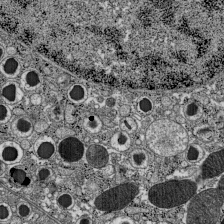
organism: C57BL Mouse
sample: Pancreatic islet